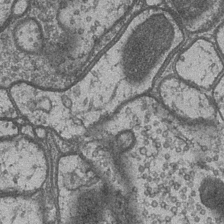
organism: Drosophila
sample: Optic medulla